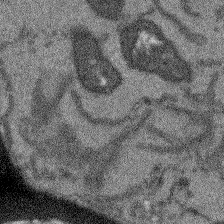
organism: Arabidopsis thaliana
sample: Root tip